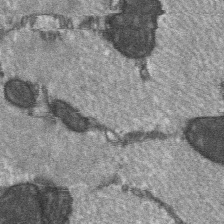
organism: C57BL Mouse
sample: Soleus